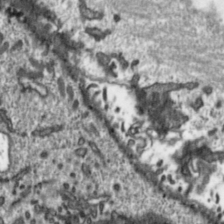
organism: Toxoplasma gondii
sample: Parasites in a vacuole inside a host cell